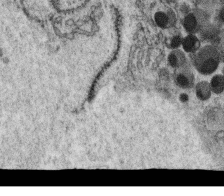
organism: C. elegans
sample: C. elegans oocyte; sperm cells